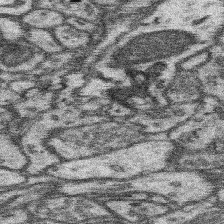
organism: Mouse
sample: Somatosensory cortex neuropil